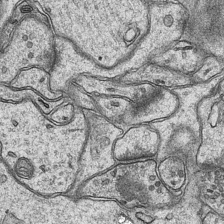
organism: Mouse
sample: CA1 Hippocampus